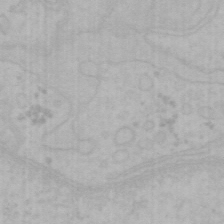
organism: Mouse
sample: Choroid plexus